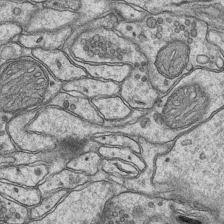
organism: Mouse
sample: CA1 Hippocampus